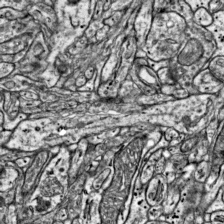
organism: Mouse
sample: Visual Cortex